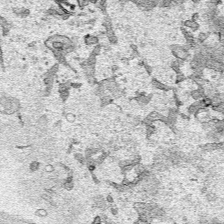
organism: Human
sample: Mitochondria in HCT116 cells